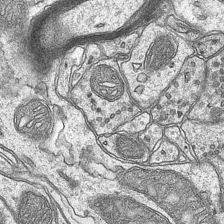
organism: Mouse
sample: CA1 Hippocampus